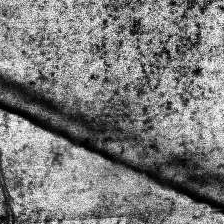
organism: Human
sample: Temporal Lobe